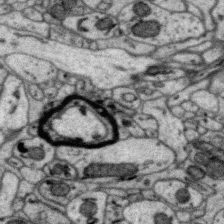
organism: Zebra finch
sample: Brain